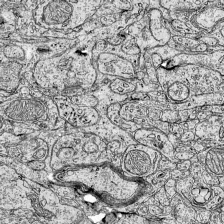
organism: Mouse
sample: Visual Cortex